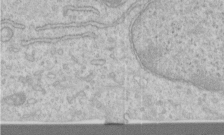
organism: Human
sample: Centriole in RPE cells